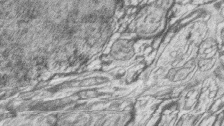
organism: Zebrafish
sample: synaptic ribbons in rod cells and cone cells